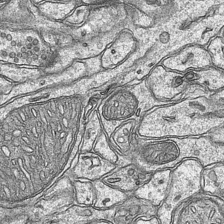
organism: Mouse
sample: CA1 Hippocampus